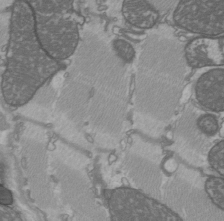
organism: C57BL Mouse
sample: Heart